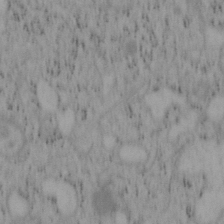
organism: Mouse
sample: OT-I killer T cells with ID8 ovarian cancer cells